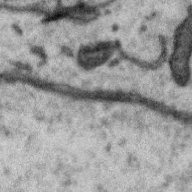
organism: Zebra finch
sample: Brain